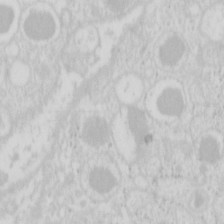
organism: Mouse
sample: Pancreas